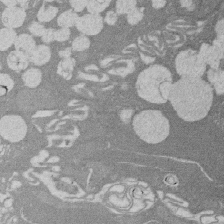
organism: Rat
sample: Salivary granule